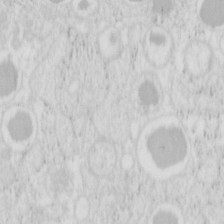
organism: Mouse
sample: Pancreas